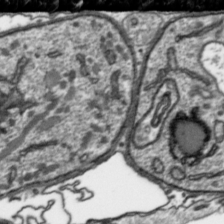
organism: Toxoplasma gondii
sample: Parasites in a vacuole inside a host cell